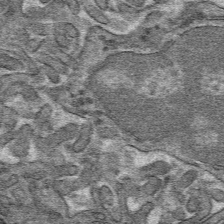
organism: Mouse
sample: Mouse hepatocytes